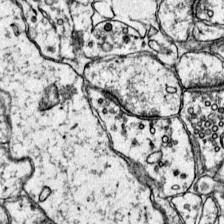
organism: Mouse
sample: Primary visual cortex